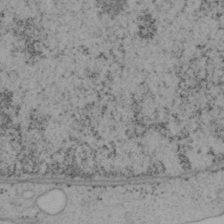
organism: Human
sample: HeLa cells